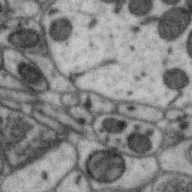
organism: Zebra finch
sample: Brain